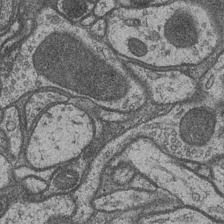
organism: Drosophila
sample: Optic medulla